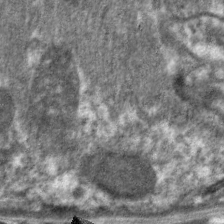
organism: C. elegans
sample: Pharynx